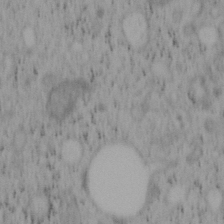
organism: Mouse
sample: OT-I killer T cells with ID8 ovarian cancer cells